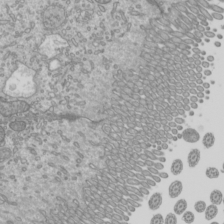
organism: Mouse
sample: Cilia; mouse epididymis